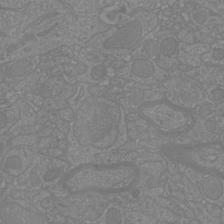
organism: Mouse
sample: Cortical neurons